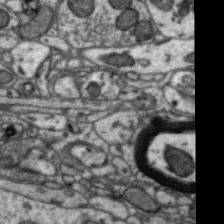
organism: Zebra finch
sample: Brain